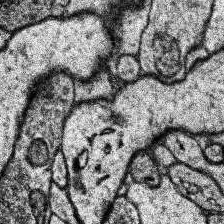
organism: Human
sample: Temporal Lobe